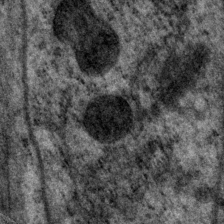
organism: P. pacificus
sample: Pharynx